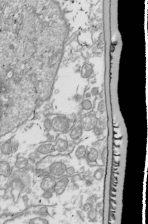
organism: Drosophila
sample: Cell division; meiosis; drosophila spermatocytes